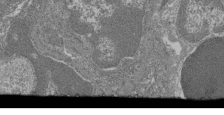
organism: Mouse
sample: Glomerulus